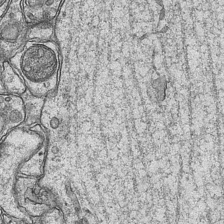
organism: Mouse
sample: CA1 Hippocampus